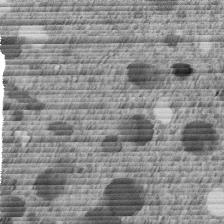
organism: C. elegans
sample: C. elegans embryo early stage